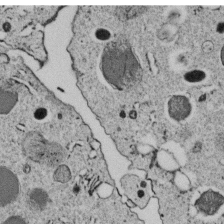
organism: C. elegans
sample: C. elegans embryo early stage